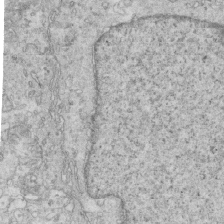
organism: Mouse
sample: Multiciliated cells